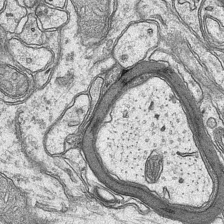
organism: Mouse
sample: CA1 Hippocampus